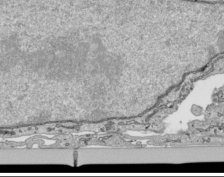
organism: Human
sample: Mitochondria in HCT116 cells